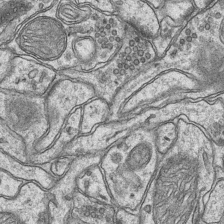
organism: Mouse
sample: CA1 Hippocampus